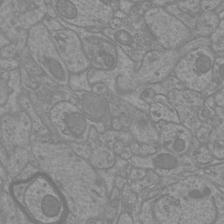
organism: Mouse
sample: Cortical neurons